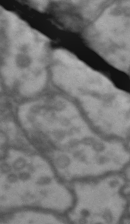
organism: Drosophila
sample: Brain